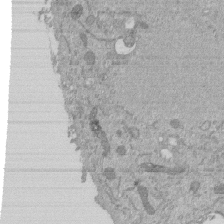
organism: Mouse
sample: ED-1 cell nuclei; centrioles